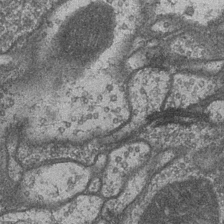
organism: Drosophila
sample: Optic medulla